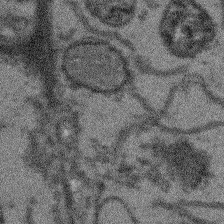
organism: Arabidopsis thaliana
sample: Root tip